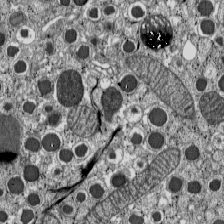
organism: C57BL Mouse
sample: Pancreatic islet